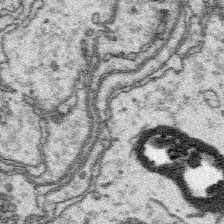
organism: Platynereis dumerilii